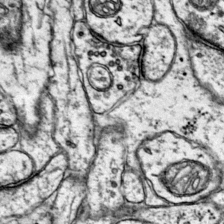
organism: Mouse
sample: Primary visual cortex